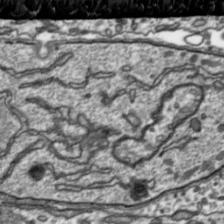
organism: Toxoplasma gondii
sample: Parasites in a vacuole inside a host cell